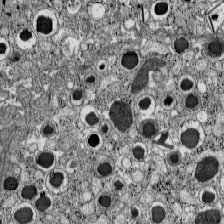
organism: C57BL Mouse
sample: Pancreatic islet